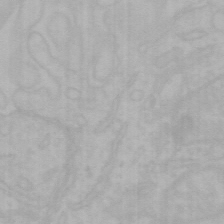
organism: Mouse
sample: Choroid plexus